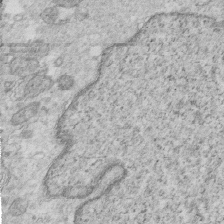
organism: Mouse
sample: Multiciliated cells